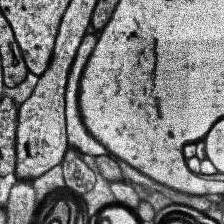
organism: Human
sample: Temporal Lobe